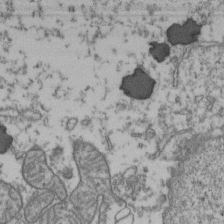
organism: Human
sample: Activated Jurkat CD4+ T cells